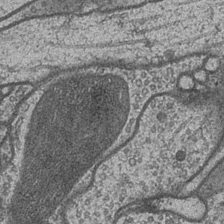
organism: Drosophila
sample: Optic medulla